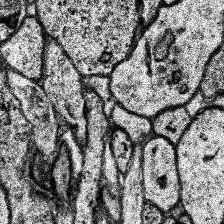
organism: Human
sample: Temporal Lobe